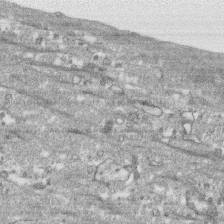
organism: Human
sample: CRL-1474